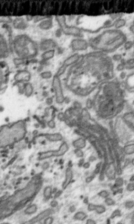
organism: Toxoplasma gondii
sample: Parasites in a vacuole inside a host cell